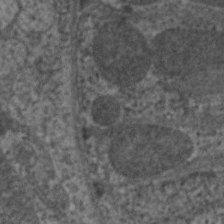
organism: C. elegans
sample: Pharynx